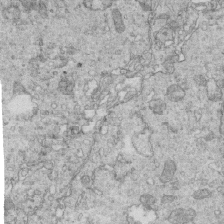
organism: Mouse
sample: Multiciliated cells